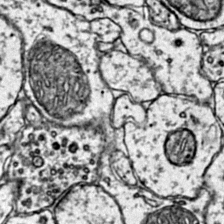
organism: Mouse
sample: Primary visual cortex